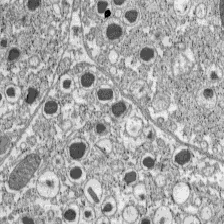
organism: C57BL Mouse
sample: Pancreatic islet